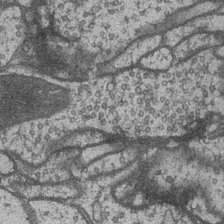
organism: Drosophila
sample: Optic medulla